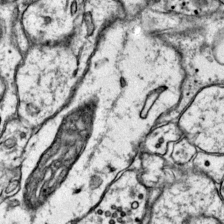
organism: Mouse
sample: Primary visual cortex